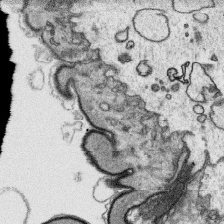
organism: Platynereis dumerilii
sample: Parapodia